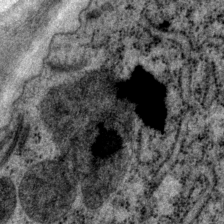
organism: P. pacificus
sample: Pharynx